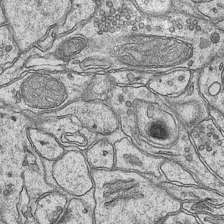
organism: Mouse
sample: CA1 Hippocampus